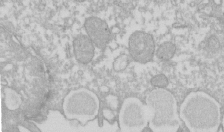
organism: Xenopus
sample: Cilia; centrioles in frog embryo cells